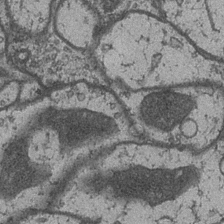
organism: Drosophila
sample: Optic medulla